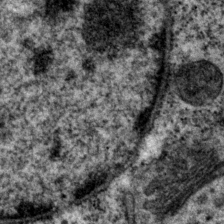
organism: P. pacificus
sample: Pharynx